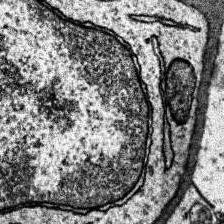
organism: Human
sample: Temporal Lobe